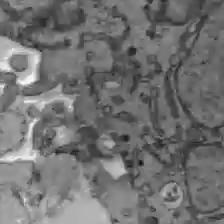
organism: C57BL Mouse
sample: Liver